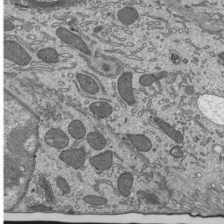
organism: Mouse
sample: Mouse epididymis efferent ductule cilia